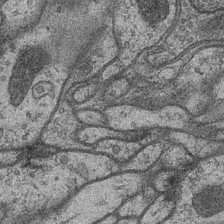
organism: Drosophila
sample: Optic medulla